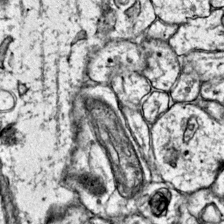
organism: Mouse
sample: Primary visual cortex